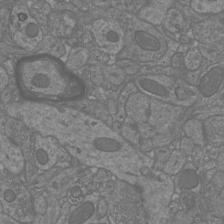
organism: Mouse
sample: Cortical neurons